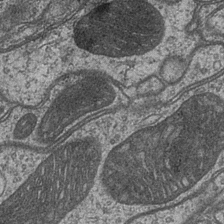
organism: Drosophila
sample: Optic medulla